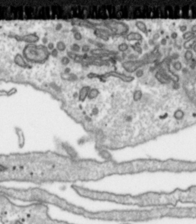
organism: Toxoplasma gondii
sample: Parasites in a vacuole inside a host cell